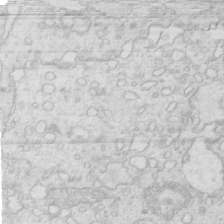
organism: Mouse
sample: Multiciliated cells